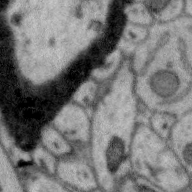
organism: Zebra finch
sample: Brain